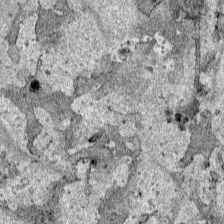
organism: Human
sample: Mitochondria in HCT116 cells